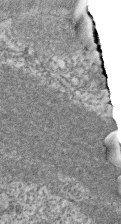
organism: Zebrafish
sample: Cilia; retinal pigment epithelium